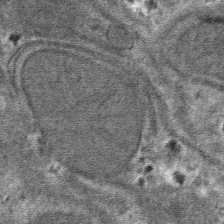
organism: Mouse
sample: Mouse hepatocytes